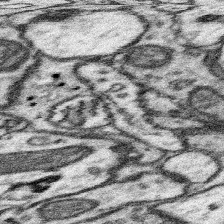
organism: Mouse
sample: Somatosensory cortex neuropil